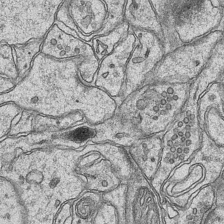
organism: Mouse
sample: CA1 Hippocampus